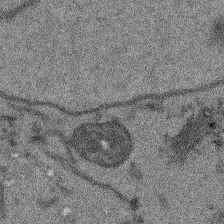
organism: Arabidopsis thaliana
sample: Root tip